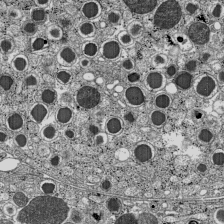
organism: C57BL Mouse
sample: Pancreatic islet